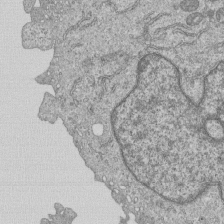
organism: Human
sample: MDA-MB-231 cells